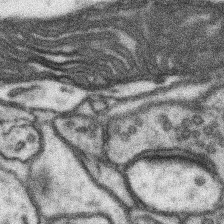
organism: Mouse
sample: Somatosensory cortex neuropil